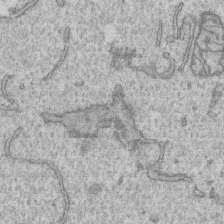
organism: Human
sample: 1205lu cells